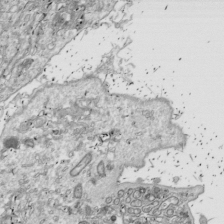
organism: Drosophila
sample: Cell division; meiosis; drosophila spermatocytes